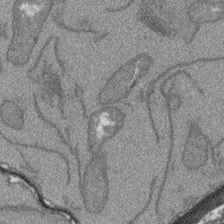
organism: Arabidopsis thaliana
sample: Root tip